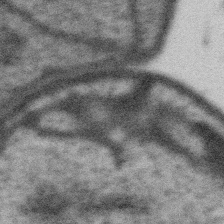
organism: Gemmata obscuriglobus